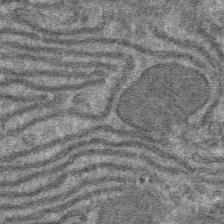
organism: Mouse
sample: Mouse hepatocytes